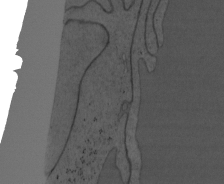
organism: Mouse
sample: OT-I killer T cells with ID8 ovarian cancer cells